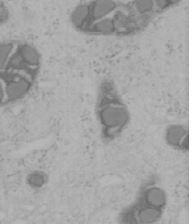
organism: Mouse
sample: OT-I killer T cells with ID8 ovarian cancer cells